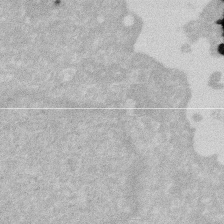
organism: Human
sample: HIV infected U937 cells